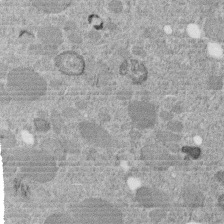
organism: C. elegans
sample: C. elegans embryo early stage